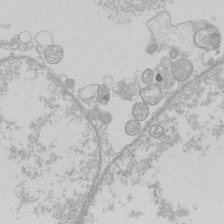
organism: Human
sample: Macrophage cells